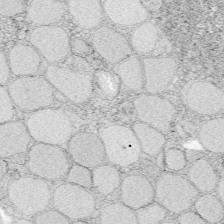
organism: Zebrafish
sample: Whole-Brain